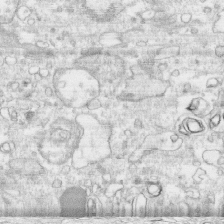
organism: Human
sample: CRL-1474